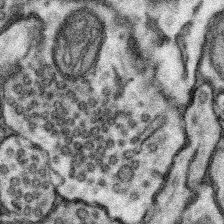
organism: Mouse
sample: Somatosensory cortex neuropil